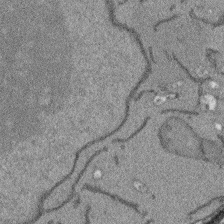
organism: Arabidopsis thaliana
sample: Root tip